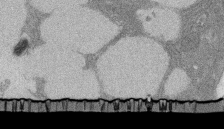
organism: Rat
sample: Salivary granule